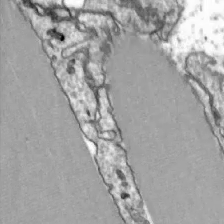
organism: Zebrafish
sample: Actinotrichia fibers